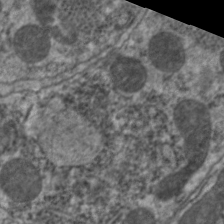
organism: C. elegans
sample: Pharynx